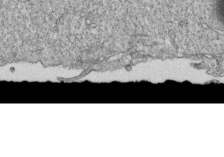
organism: Human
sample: HeLa cell HIV synapse